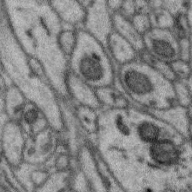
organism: Zebra finch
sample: Brain